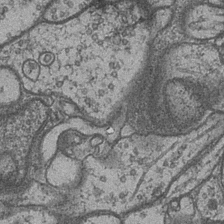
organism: Drosophila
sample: Optic medulla